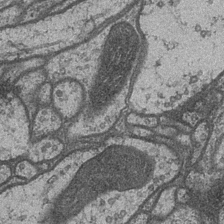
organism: Drosophila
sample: Optic medulla